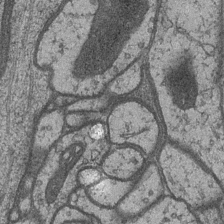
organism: Drosophila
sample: Optic medulla